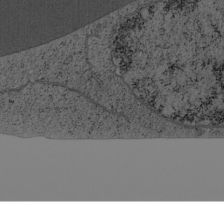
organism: African green monkey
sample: COS-7 cells